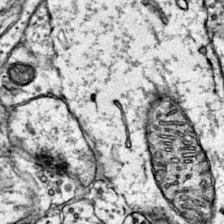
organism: Mouse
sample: Primary visual cortex